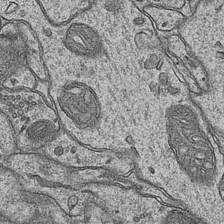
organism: Mouse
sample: CA1 Hippocampus